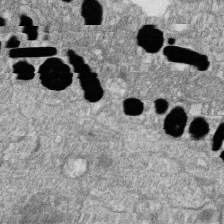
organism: Zebrafish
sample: Cilia; retinal pigment epithelium